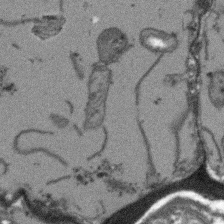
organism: Arabidopsis thaliana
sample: Root tip